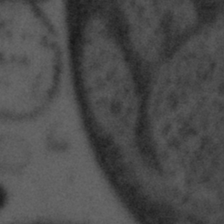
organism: Tuwongella immobilis